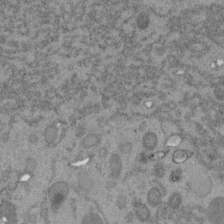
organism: C. elegans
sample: C. elegans embryo early stage